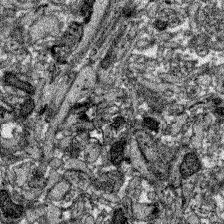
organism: Zebrafish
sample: Larval olfactory bulb